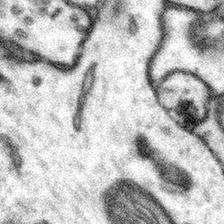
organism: Mouse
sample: Somatosensory cortex neuropil